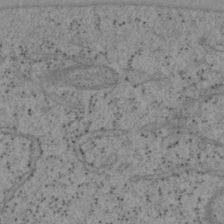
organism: Human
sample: HeLa cells